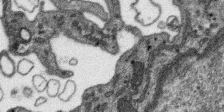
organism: Human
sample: Lung epithelial cells infected with SARS-CoV-2